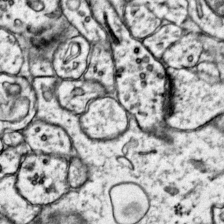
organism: Mouse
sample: Primary visual cortex